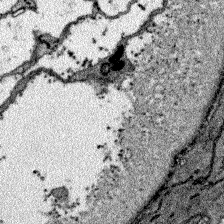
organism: Zebrafish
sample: Larval olfactory bulb